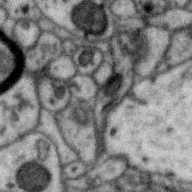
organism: Zebra finch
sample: Brain